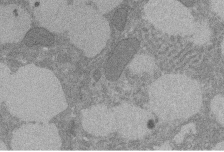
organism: Rat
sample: Salivary granule